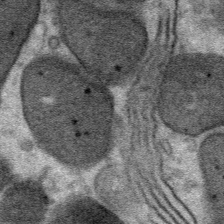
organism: Mouse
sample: Mouse Salivary gland